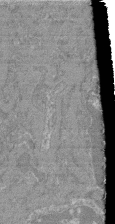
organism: Mouse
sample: Glomerulus